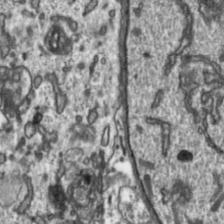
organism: Toxoplasma gondii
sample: Parasites in a vacuole inside a host cell